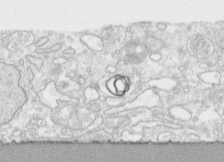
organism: Human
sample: CRL-1474